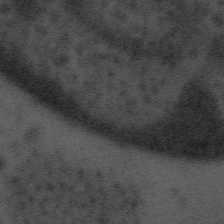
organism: Tuwongella immobilis